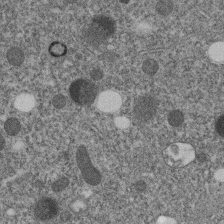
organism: C. elegans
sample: C. elegans embryo early stage